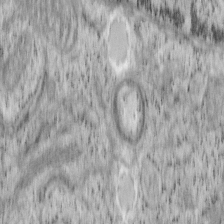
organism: Human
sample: HeLa cells